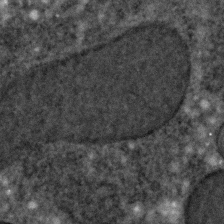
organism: C. elegans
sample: C. elegans embryo